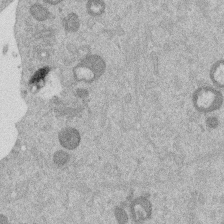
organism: Mouse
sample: Dividing mouse embryo 1 cell stage